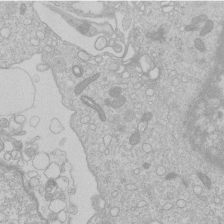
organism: Human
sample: Macrophage cells